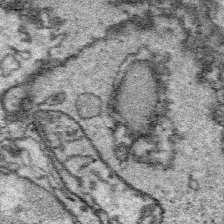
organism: Platynereis dumerilii